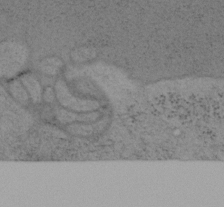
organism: Mouse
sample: OT-I killer T cells with ID8 ovarian cancer cells